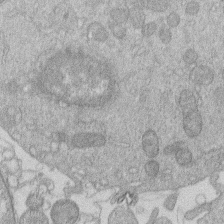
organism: Human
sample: Macrophage cells